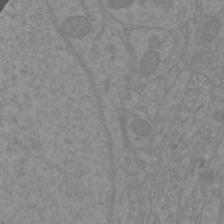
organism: Mouse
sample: Cortical neurons